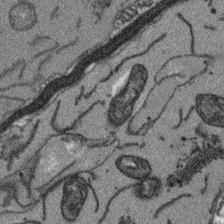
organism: Arabidopsis thaliana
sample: Root tip